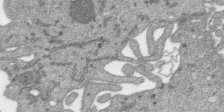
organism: Human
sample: Lung epithelial cells infected with SARS-CoV-2